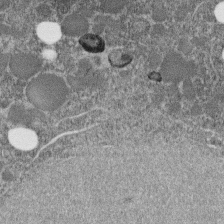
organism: C. elegans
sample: C. elegans embryo early stage